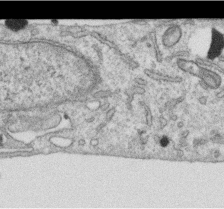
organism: Human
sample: Centriole in RPE cells